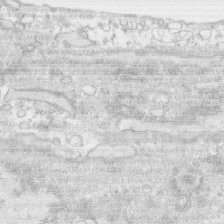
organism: Human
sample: CRL-1474